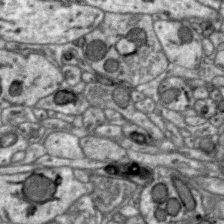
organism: Zebra finch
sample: Brain